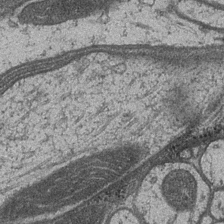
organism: Drosophila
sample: Optic medulla